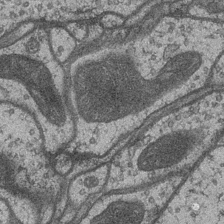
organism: Drosophila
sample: Optic medulla